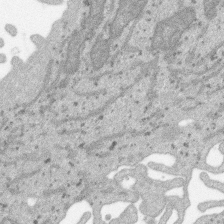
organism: Human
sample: Lung epithelial cells infected with SARS-CoV-2